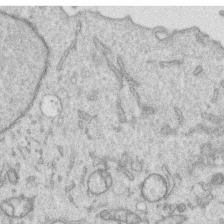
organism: Human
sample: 1205lu cells